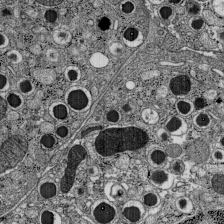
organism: C57BL Mouse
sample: Pancreatic islet